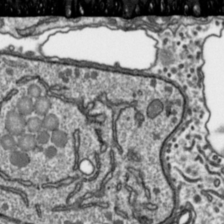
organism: Toxoplasma gondii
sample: Parasites in a vacuole inside a host cell